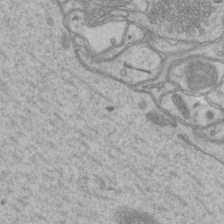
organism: Mouse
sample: CA1 Hippocampus